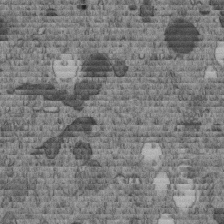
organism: C. elegans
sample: C. elegans embryo early stage